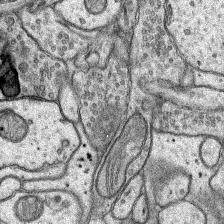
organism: Rat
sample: Hippocampus